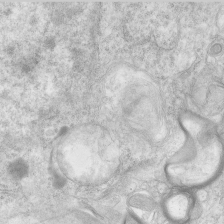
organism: Human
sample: Neocortex